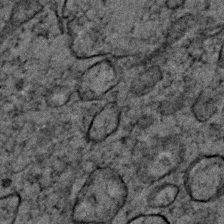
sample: Trachea